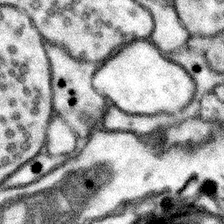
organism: Mouse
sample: Somatosensory cortex neuropil